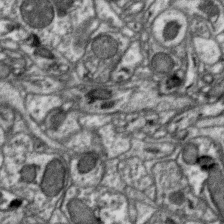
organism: Zebra finch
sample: Brain